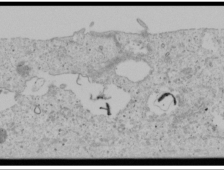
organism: Human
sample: Mitochondria in U2OS cells